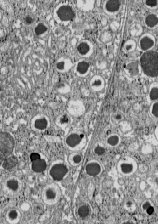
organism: C57BL Mouse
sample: Pancreatic islet